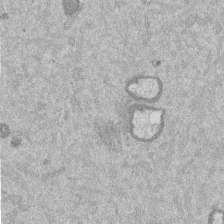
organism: Mouse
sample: Dividing mouse embryo 1 cell stage